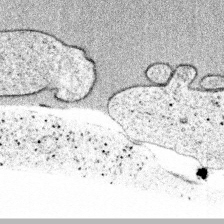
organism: Human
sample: HeLa cells